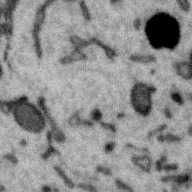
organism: Zebra finch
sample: Brain